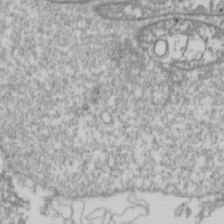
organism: Drosophila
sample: Cell division; meiosis; drosophila spermatocytes